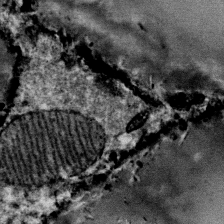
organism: Mouse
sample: Mouse Salivary gland